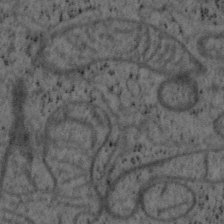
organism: Human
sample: HeLa cells